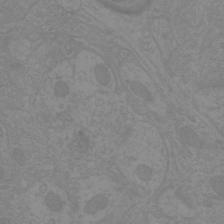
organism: Mouse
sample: Cortical neurons